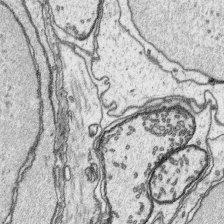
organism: Platynereis dumerilii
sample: Parapodia